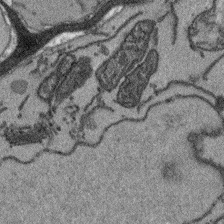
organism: Arabidopsis thaliana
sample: Root tip